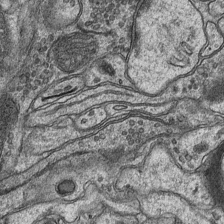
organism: Mouse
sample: CA1 Hippocampus